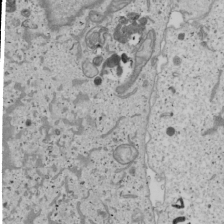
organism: Human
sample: Mitochondria in U2OS cells